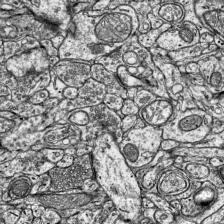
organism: Mouse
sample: Visual Cortex